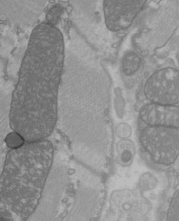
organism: C57BL Mouse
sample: Heart